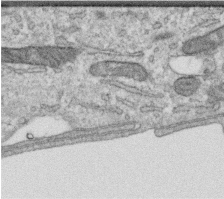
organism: Human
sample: Centriole in RPE cells